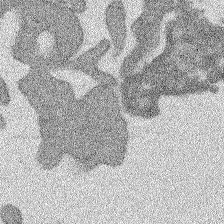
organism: Human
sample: HeLa cells